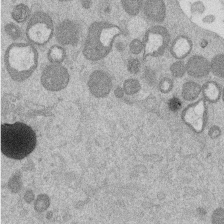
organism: Mouse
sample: Dividing mouse embryo 1 cell stage